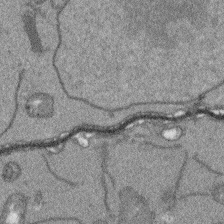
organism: Arabidopsis thaliana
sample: Root tip